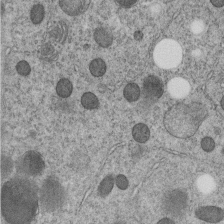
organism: C. elegans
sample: C. elegans embryo early stage